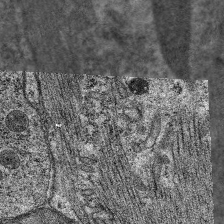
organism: C. elegans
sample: Pharynx